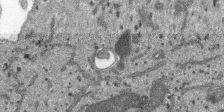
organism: Human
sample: Lung epithelial cells infected with SARS-CoV-2